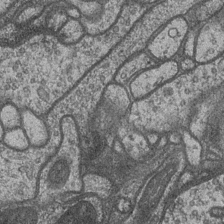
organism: Drosophila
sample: Optic medulla